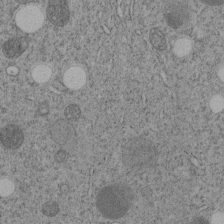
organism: C. elegans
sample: C. elegans embryo early stage